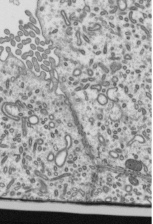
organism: Mouse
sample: Mouse epididymis efferent ductule cilia